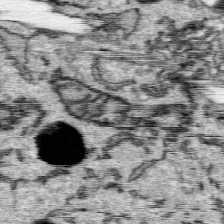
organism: Human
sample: HeLa cells